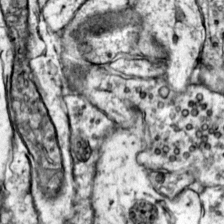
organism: Mouse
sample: Primary visual cortex